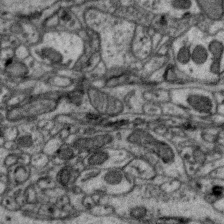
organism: Zebra finch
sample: Brain